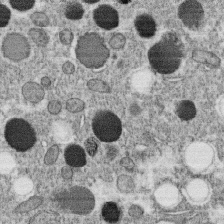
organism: C. elegans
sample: C. elegans oocyte; sperm cells